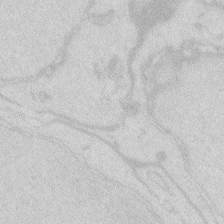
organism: Zebrafish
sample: Macrophage